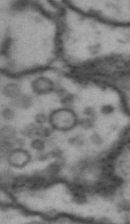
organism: Drosophila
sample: Brain